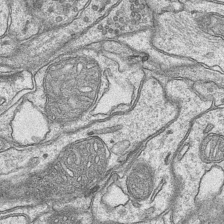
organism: Mouse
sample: CA1 Hippocampus